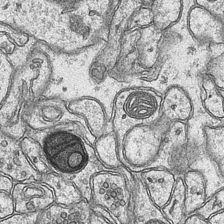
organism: Mouse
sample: CA1 Hippocampus